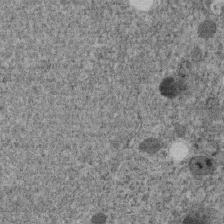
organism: C. elegans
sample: C. elegans embryo early stage